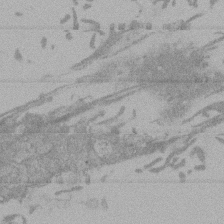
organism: Mouse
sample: ED-1 cell nuclei; centrioles